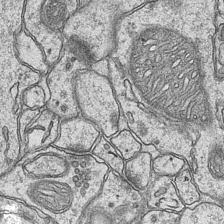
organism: Mouse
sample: CA1 Hippocampus